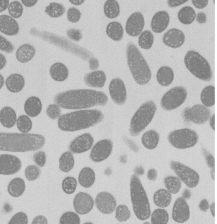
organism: E. coli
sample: Bacterial nucleoid